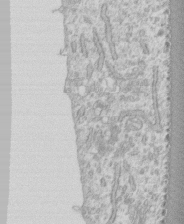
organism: Human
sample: CRL-1474